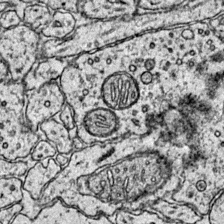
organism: Mouse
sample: Primary visual cortex